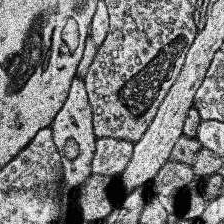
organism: Human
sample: Temporal Lobe